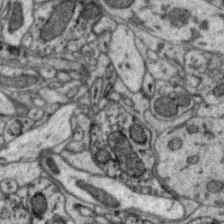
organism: Zebra finch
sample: Brain